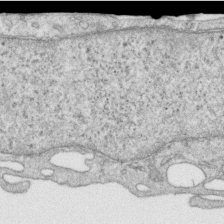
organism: Human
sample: Centriole in RPE cells